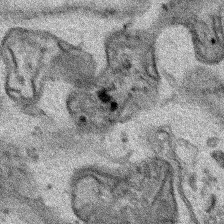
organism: Human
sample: Mitochondria in HCT116 cells